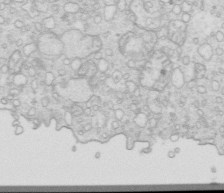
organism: Mouse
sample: Multiciliated cells